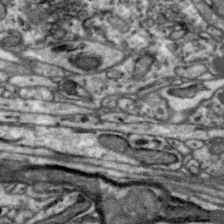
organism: Zebra finch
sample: Brain